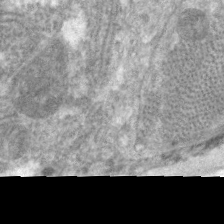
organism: C. elegans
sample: Pharynx